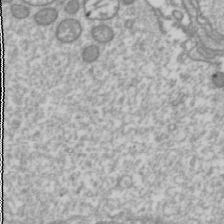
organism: Drosophila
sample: Cell division; meiosis; drosophila spermatocytes